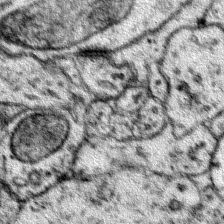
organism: Mouse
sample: Primary visual cortex